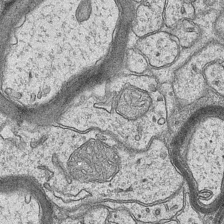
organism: Mouse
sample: CA1 Hippocampus